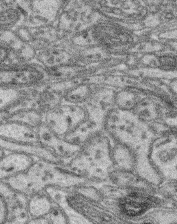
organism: Mouse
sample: Retina